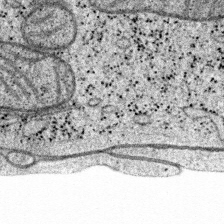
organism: Human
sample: HeLa cells